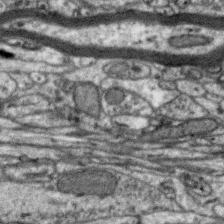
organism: Zebra finch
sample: Brain